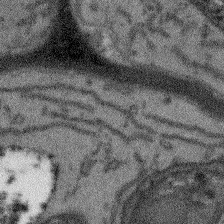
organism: Arabidopsis thaliana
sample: Root tip